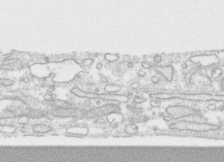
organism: Human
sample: CRL-1474